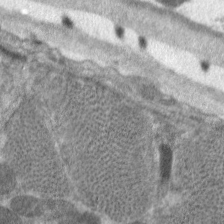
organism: C. elegans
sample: Pharynx